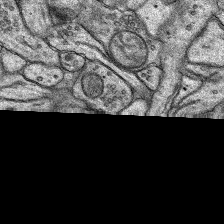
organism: Rat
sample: Hippocampus